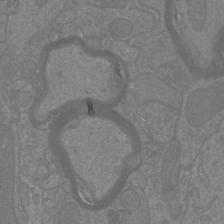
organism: Mouse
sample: Cortical neurons